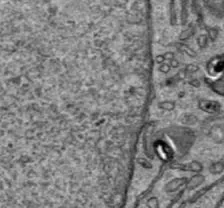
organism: C57BL Mouse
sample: Liver